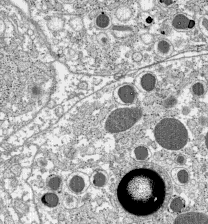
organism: C57BL Mouse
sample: Pancreatic islet